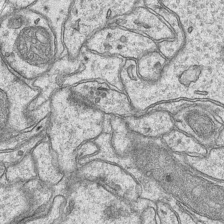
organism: Mouse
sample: CA1 Hippocampus